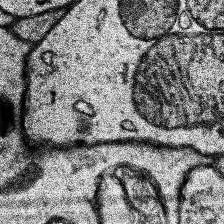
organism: Human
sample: Temporal Lobe